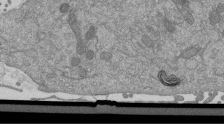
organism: Mouse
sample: ED-1 cell nuclei; centrioles